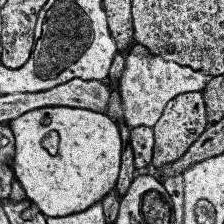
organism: Human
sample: Temporal Lobe